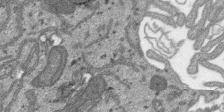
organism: Human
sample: Lung epithelial cells infected with SARS-CoV-2